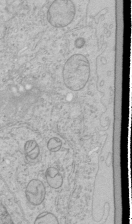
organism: Human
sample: Mitochondria in HCT116 cells